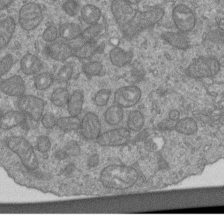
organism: Human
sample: Retinal organoid Rod and Cone cells